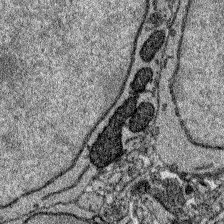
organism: Zebrafish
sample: Larval olfactory bulb